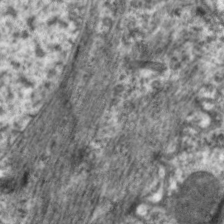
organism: C. elegans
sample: Pharynx